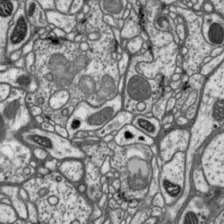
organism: Drosophila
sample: Protocerebral bridge